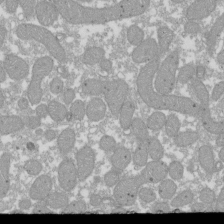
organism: Xenopus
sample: Cilia; centrioles in frog embryo cells